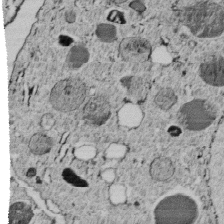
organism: C. elegans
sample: C. elegans embryo early stage